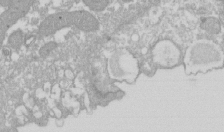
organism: Xenopus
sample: Cilia; centrioles in frog embryo cells